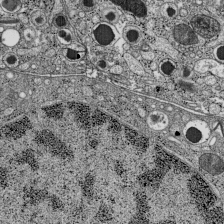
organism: C57BL Mouse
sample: Pancreatic islet